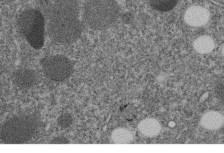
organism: C. elegans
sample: C. elegans embryo early stage